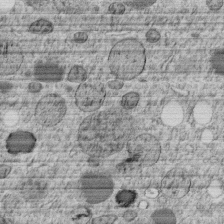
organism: C. elegans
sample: C. elegans embryo early stage